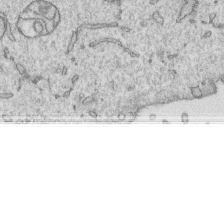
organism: Human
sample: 1205lu cells